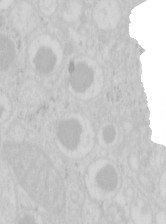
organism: Mouse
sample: Pancreas